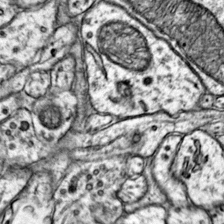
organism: Mouse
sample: Primary visual cortex